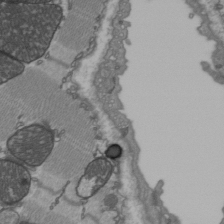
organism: C57BL Mouse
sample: Heart